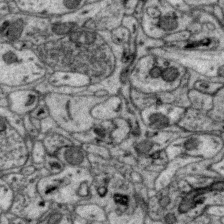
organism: Zebra finch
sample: Brain